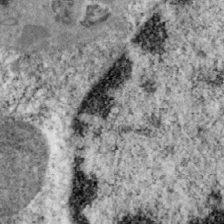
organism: Mouse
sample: OT-I killer T cells with ID8 ovarian cancer cells